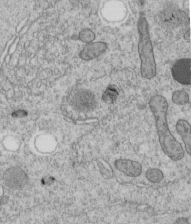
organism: C. elegans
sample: C. elegans embryo early stage